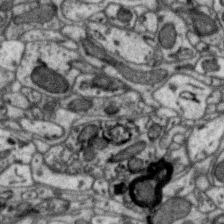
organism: Zebra finch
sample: Brain